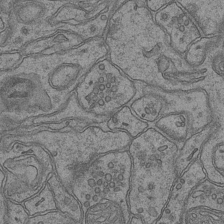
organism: Mouse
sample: CA1 Hippocampus